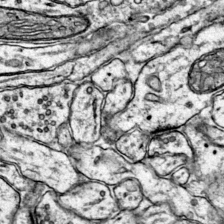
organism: Mouse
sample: Primary visual cortex